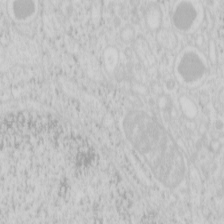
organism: Mouse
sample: Pancreas